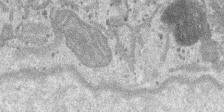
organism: Human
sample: Lung epithelial cells infected with SARS-CoV-2